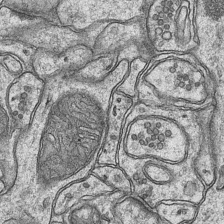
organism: Mouse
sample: CA1 Hippocampus